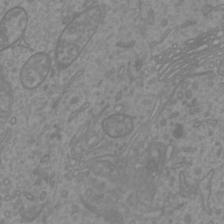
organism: Mouse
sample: Cortical neurons